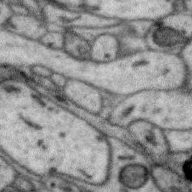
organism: Zebra finch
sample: Brain